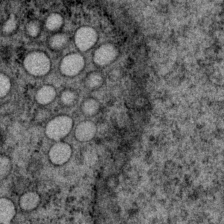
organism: P. pacificus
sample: Pharynx